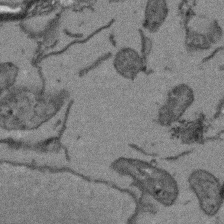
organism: Arabidopsis thaliana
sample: Root tip